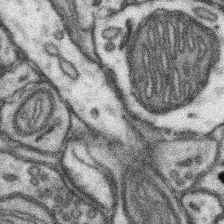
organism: Mouse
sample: Somatosensory cortex neuropil